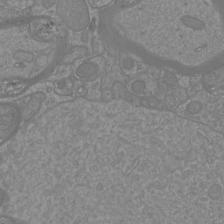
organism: Mouse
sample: Cortical neurons